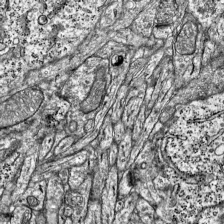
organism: Mouse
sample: Visual Cortex